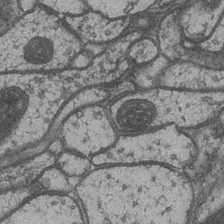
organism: Drosophila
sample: Optic medulla